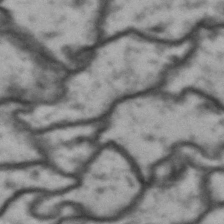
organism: Drosophila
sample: Brain